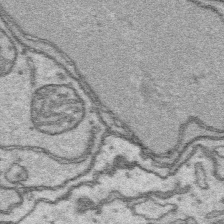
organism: Platynereis dumerilii